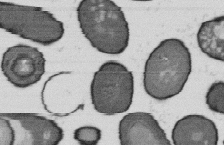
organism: B. subtilis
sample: Bacterial spore